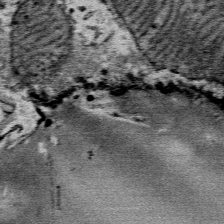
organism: Mouse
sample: Mouse Salivary gland